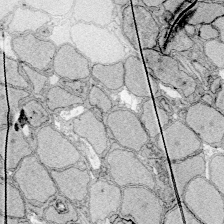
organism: Zebrafish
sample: Whole-Brain